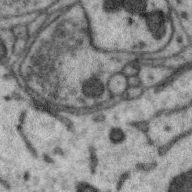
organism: Zebra finch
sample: Brain